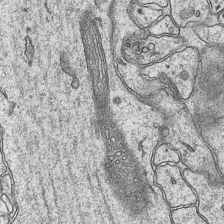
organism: Mouse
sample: CA1 Hippocampus